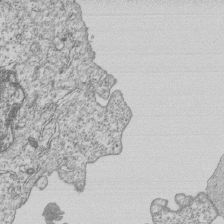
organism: Human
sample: MDA-MB-231 cells